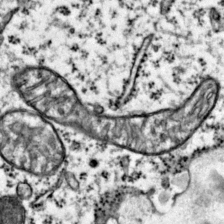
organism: Mouse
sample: Primary visual cortex